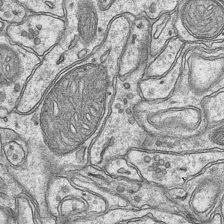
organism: Mouse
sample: CA1 Hippocampus